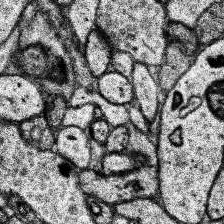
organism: Human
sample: Temporal Lobe